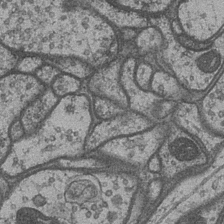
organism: Drosophila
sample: Optic medulla